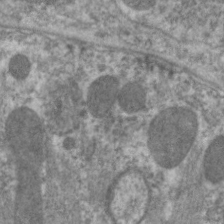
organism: C. elegans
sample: Pharynx